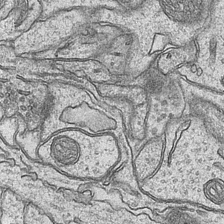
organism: Mouse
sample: CA1 Hippocampus